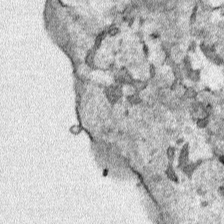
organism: Human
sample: Mitochondria in HCT116 cells